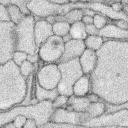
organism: Rabbit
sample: Retina